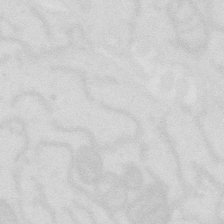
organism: Human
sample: HeLa cells